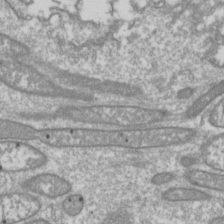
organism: Drosophila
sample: Cell division; meiosis; drosophila spermatocytes